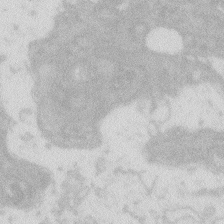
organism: Zebrafish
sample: Macrophage